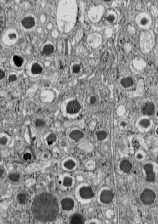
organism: C57BL Mouse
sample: Pancreatic islet